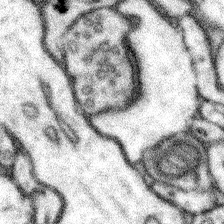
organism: Mouse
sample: Somatosensory cortex neuropil